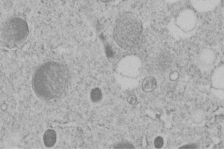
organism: C. elegans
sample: C. elegans embryo early stage